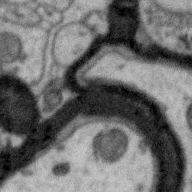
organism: Zebra finch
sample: Brain